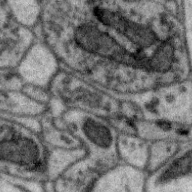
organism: Zebra finch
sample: Brain